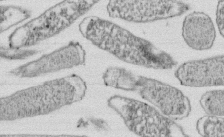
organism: E. coli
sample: Bacterial nucleoid